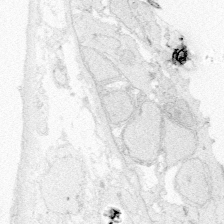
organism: Zebrafish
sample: Whole-Brain